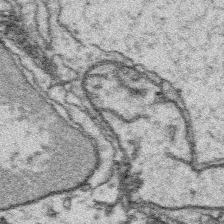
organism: Platynereis dumerilii